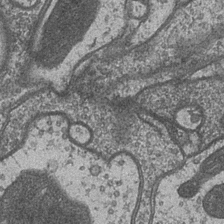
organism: Drosophila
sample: Optic medulla